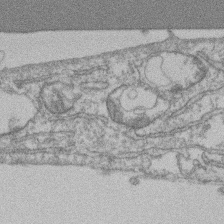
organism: Mouse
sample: T cell stromal cell synapse